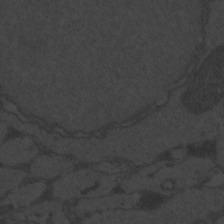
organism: Zebrafish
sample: Macrophage infected with Toxoplasma gondii